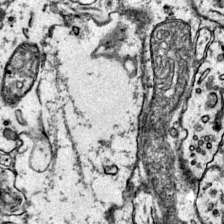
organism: Mouse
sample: Primary visual cortex